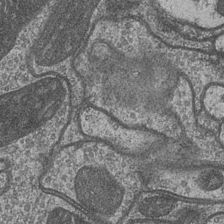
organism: Drosophila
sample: Optic medulla